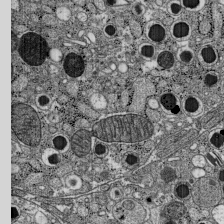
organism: C57BL Mouse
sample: Pancreatic islet